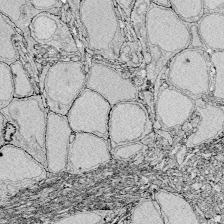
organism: Zebrafish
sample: Whole-Brain